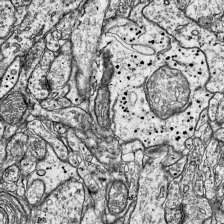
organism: Mouse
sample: Visual Cortex